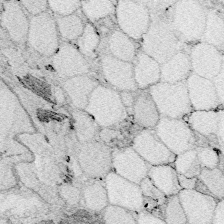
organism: Zebrafish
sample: Whole-Brain